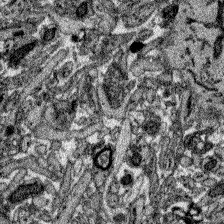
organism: Zebrafish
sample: Larval olfactory bulb